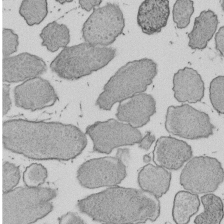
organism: E. coli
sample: Bacterial nucleoid